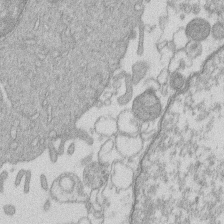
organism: Human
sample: Macrophage cells